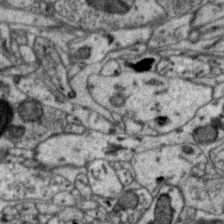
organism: Zebra finch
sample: Brain